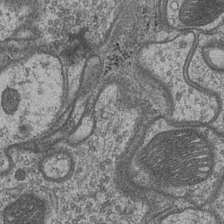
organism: Drosophila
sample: Optic medulla